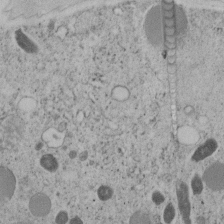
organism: C. elegans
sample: C. elegans embryo early stage